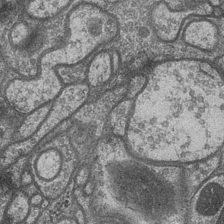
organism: Drosophila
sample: Optic medulla